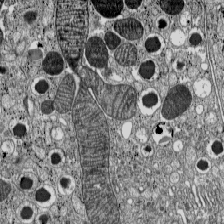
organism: C57BL Mouse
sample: Pancreatic islet